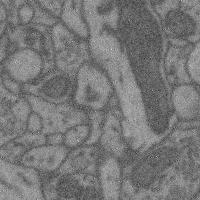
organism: Mouse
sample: Cerebral cortex